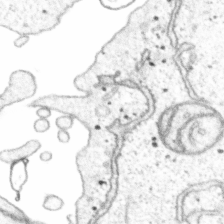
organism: Human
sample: HeLa cells